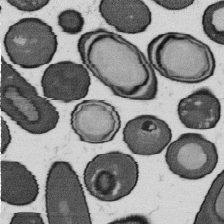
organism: B. subtilis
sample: Bacterial spore